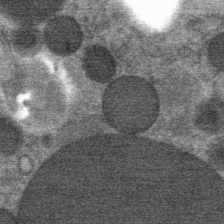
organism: Mouse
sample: Mouse Salivary gland